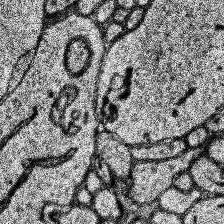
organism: Human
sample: Temporal Lobe